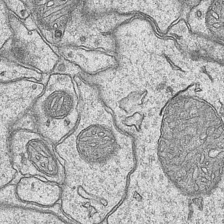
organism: Mouse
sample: CA1 Hippocampus